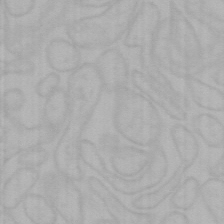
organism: Mouse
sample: Choroid plexus